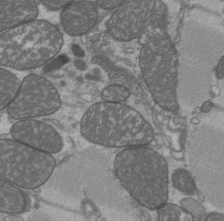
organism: C57BL Mouse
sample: Heart